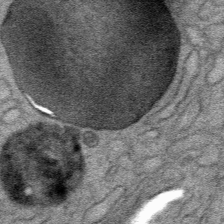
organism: Mouse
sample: Mouse Salivary gland